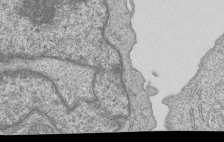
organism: Human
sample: MDA-MB-231 cells